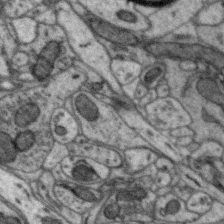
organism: Zebra finch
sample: Brain